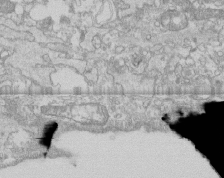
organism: Human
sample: CRL-1474